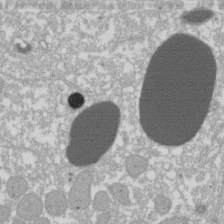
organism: Xenopus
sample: Cilia; centrioles in frog embryo cells